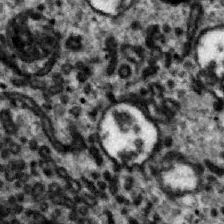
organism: Human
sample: HeLa cells